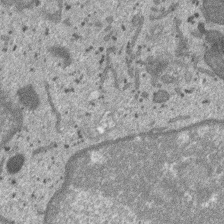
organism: Human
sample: Lung epithelial cells infected with SARS-CoV-2